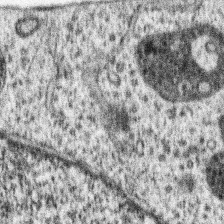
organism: Human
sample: HeLa cells